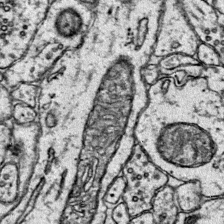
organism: Mouse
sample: Primary visual cortex